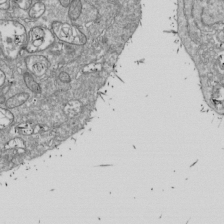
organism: Drosophila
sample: Cell division; meiosis; drosophila spermatocytes